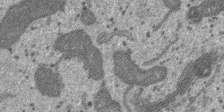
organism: Human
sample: Lung epithelial cells infected with SARS-CoV-2